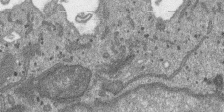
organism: Human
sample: Lung epithelial cells infected with SARS-CoV-2